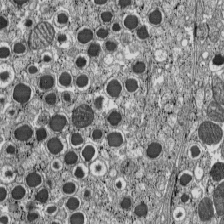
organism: C57BL Mouse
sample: Pancreatic islet